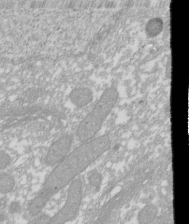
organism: Xenopus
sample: Cilia; centrioles in frog embryo cells